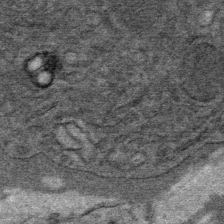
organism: Mouse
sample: Mouse Salivary gland